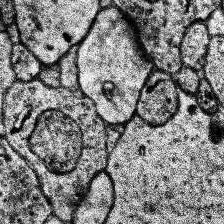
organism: Human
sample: Temporal Lobe